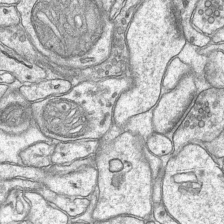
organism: Mouse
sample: CA1 Hippocampus